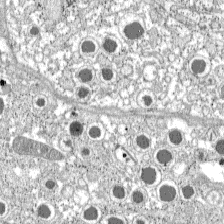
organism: C57BL Mouse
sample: Pancreatic islet